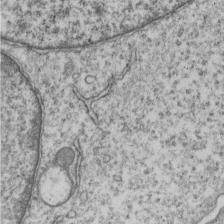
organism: Human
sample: MDA-MB-231 cells